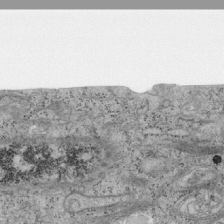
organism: Human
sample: HeLa cells